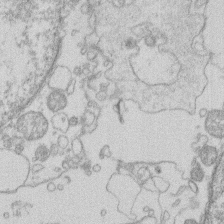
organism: Human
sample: Macrophage cells